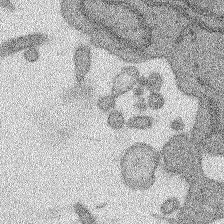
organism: Human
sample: HeLa cells